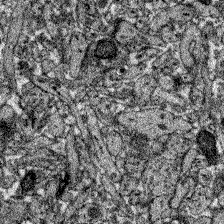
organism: Zebrafish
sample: Larval olfactory bulb